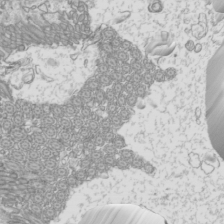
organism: Mouse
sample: Cilia; mouse epididymis